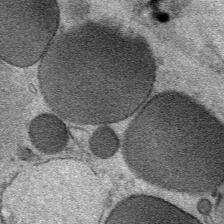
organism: Mouse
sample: Mouse Salivary gland